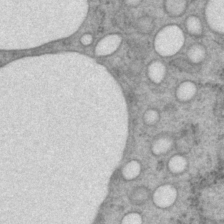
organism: P. pacificus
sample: Pharynx